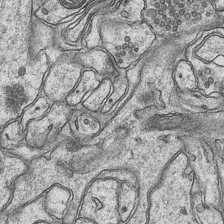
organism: Mouse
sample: CA1 Hippocampus